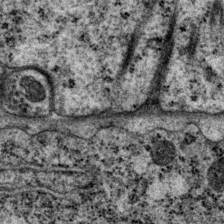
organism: P. pacificus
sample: Pharynx